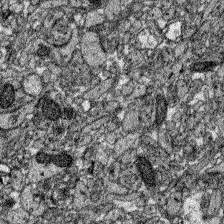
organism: Zebrafish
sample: Larval olfactory bulb